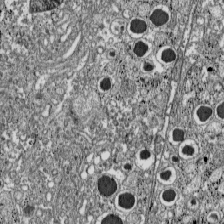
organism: C57BL Mouse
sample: Pancreatic islet